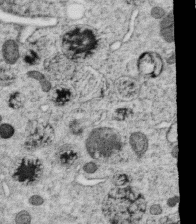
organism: C. elegans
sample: C. elegans oocyte; sperm cells